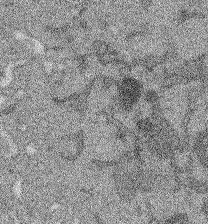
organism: Human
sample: HeLa cells